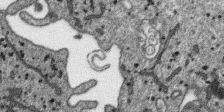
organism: Human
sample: Lung epithelial cells infected with SARS-CoV-2